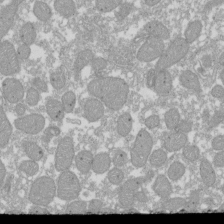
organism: Xenopus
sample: Cilia; centrioles in frog embryo cells